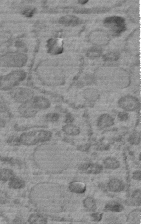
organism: C. elegans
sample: C. elegans embryo early stage